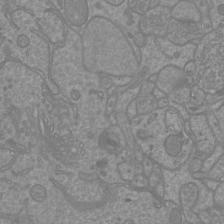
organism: Mouse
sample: Cortical neurons